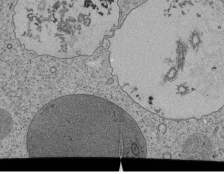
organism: Tetrahymena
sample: Cilia in tetrahymena